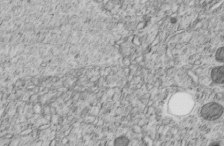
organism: C. elegans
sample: C. elegans embryo early stage